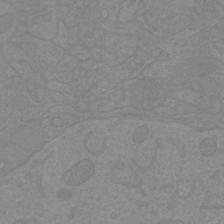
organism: Mouse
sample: Cortical neurons